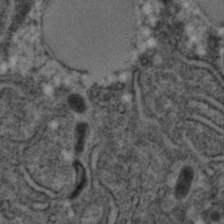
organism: C. elegans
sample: C. elegans embryo